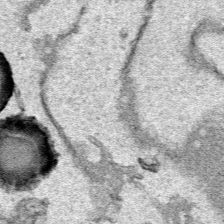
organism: Human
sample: Mitochondria in HCT116 cells